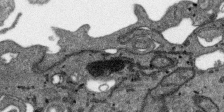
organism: Human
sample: Lung epithelial cells, uninfected (mock) control